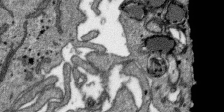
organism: Human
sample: Lung epithelial cells, uninfected (mock) control